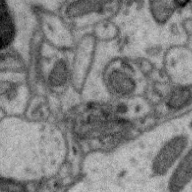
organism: Zebra finch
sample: Brain